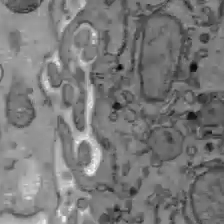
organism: C57BL Mouse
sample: Liver